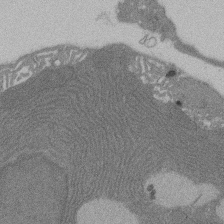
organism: Rat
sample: Salivary granule